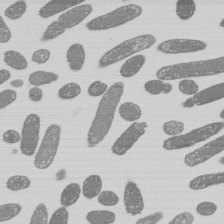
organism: E. coli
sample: Bacterial nucleoid